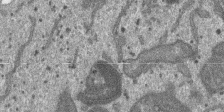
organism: Human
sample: Lung epithelial cells infected with SARS-CoV-2